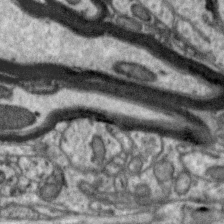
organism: Zebra finch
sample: Brain